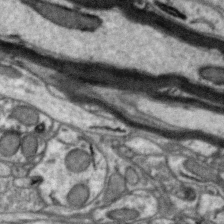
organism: Zebra finch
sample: Brain